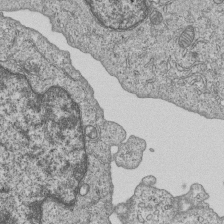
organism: Human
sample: MDA-MB-231 cells